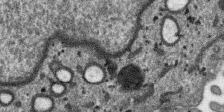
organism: Human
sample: Lung epithelial cells infected with SARS-CoV-2